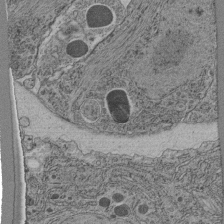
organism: C. elegans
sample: C. elegans pharynx